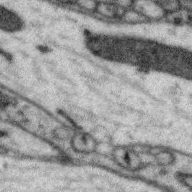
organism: Zebra finch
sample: Brain